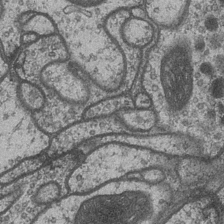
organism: Drosophila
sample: Optic medulla